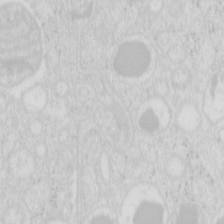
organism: Mouse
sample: Pancreas